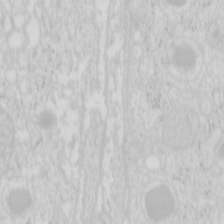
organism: Mouse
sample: Pancreas